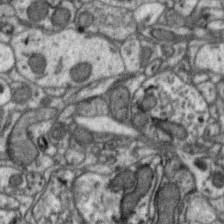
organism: Zebra finch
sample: Brain